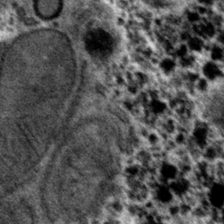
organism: Mouse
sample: Mouse hepatocytes